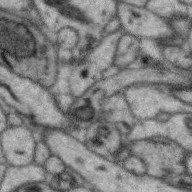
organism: Zebra finch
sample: Brain